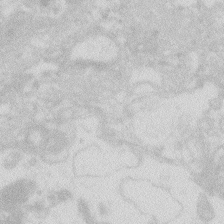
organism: Zebrafish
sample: Macrophage